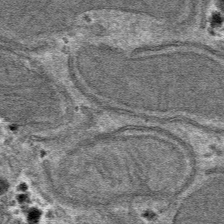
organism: Mouse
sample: Mouse hepatocytes